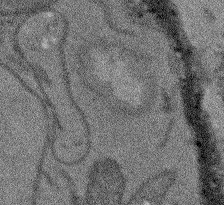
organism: Arabidopsis thaliana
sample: Root tip